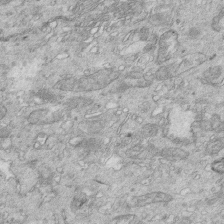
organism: Mouse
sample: Multiciliated cells